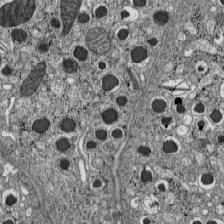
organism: C57BL Mouse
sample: Pancreatic islet